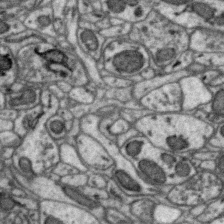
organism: Zebra finch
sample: Brain